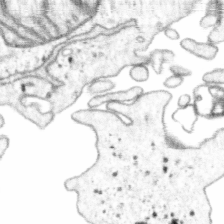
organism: Human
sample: HeLa cells